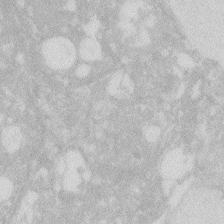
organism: Zebrafish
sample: Macrophage